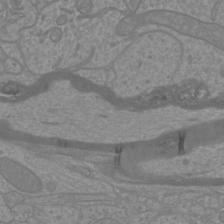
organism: Mouse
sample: Cortical neurons